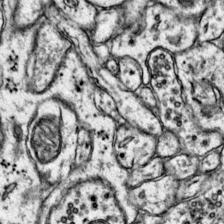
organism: Mouse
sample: Primary visual cortex